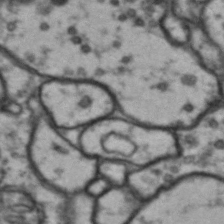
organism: Drosophila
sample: Brain